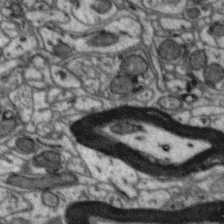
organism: Zebra finch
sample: Brain